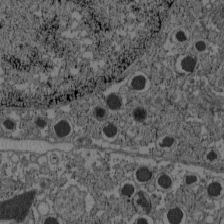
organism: C57BL Mouse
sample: Pancreatic islet